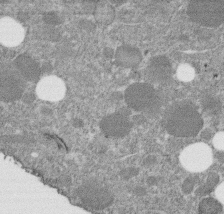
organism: C. elegans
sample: C. elegans embryo early stage